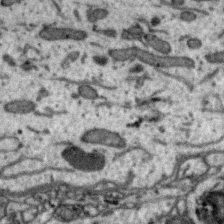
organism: Zebra finch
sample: Brain